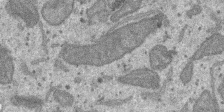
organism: Human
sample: Lung epithelial cells infected with SARS-CoV-2